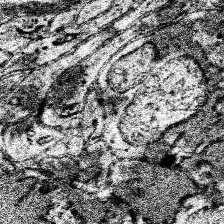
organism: Human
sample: Temporal Lobe